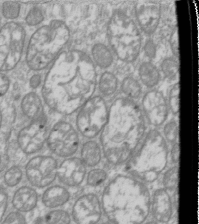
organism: Drosophila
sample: Cell division; meiosis; drosophila spermatocytes